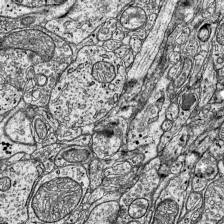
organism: Mouse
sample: Visual Cortex